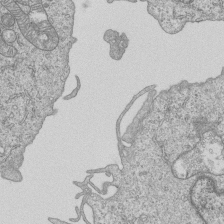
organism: Human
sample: MDA-MB-231 cells